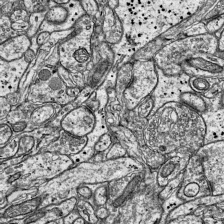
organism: Mouse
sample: Visual Cortex